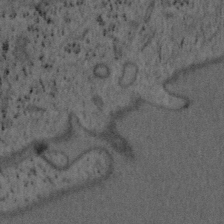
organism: Human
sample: HeLa cells